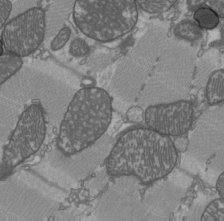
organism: C57BL Mouse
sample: Heart